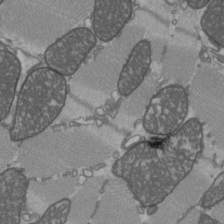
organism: C57BL Mouse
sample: Heart